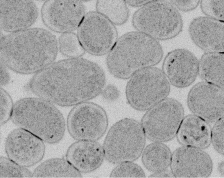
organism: E. coli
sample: Bacterial nucleoid